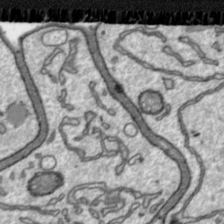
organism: Toxoplasma gondii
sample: Parasites in a vacuole inside a host cell